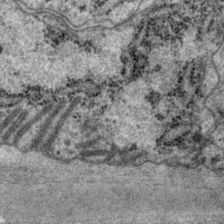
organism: P. pacificus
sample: Pharynx